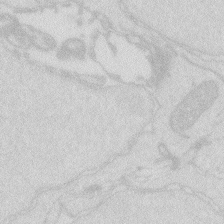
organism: Zebrafish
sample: Macrophage